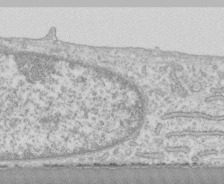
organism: Human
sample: CRL-1474